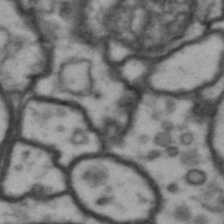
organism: Drosophila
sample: Brain